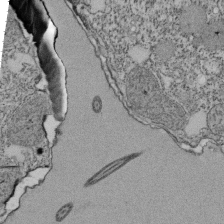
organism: Tetrahymena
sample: Cilia in tetrahymena